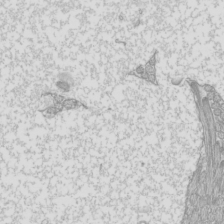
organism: Mouse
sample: Cilia; mouse epididymis